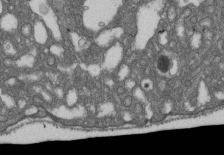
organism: Drosophila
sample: Nephrocyte